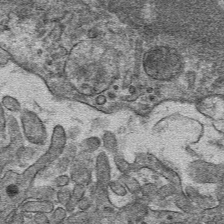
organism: Mouse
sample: Mouse hepatocytes